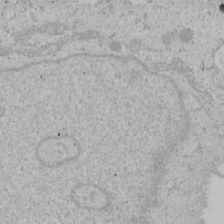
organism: Human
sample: Mitochondria in U2OS cells